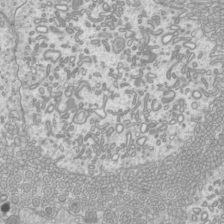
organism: Mouse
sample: Cilia; mouse epididymis